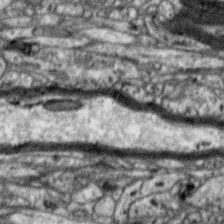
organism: Zebra finch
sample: Brain